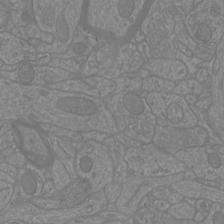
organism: Mouse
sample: Cortical neurons